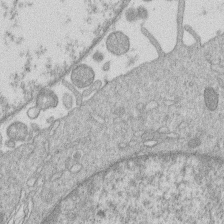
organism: Human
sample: Macrophage cells